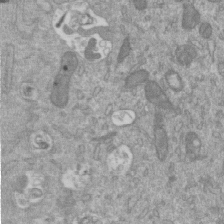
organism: Mouse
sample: ED-1 cell nuclei; centrioles